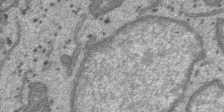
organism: Human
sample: Lung epithelial cells infected with SARS-CoV-2